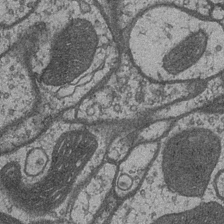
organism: Drosophila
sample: Optic medulla